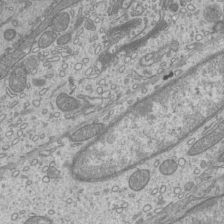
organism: Mouse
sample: Cilia; mouse epididymis